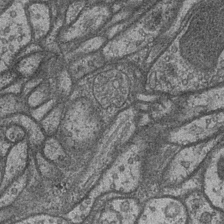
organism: Drosophila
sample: Optic medulla